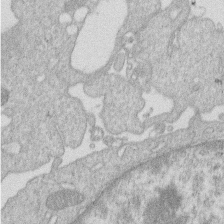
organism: Human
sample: Macrophage cells